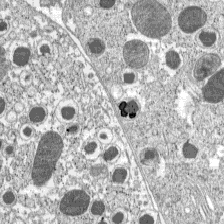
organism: C57BL Mouse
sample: Pancreatic islet